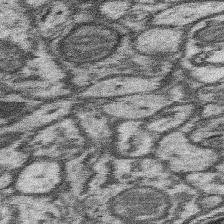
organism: Mouse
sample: Somatosensory cortex neuropil